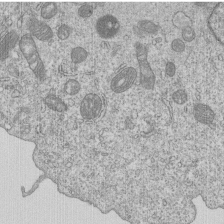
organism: Human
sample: MDA-MB-231 cells